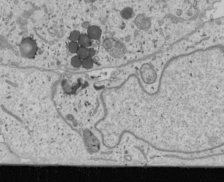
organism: Human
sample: Mitochondria in U2OS cells